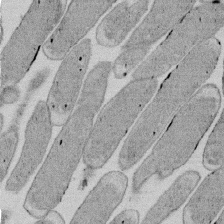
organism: E. coli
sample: Bacterial nucleoid